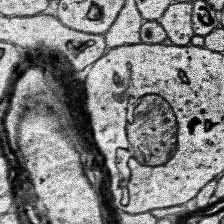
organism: Human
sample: Temporal Lobe